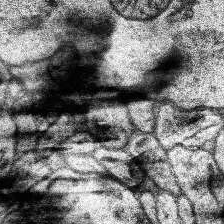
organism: Human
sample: Temporal Lobe